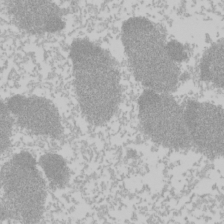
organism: Mouse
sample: Cancer cell death in ED-1 cells